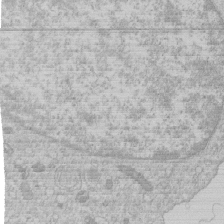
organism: Human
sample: Macrophage cells